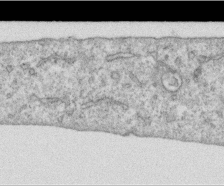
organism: Human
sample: Centriole in RPE cells